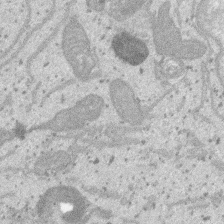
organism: Human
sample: Lung epithelial cells infected with SARS-CoV-2